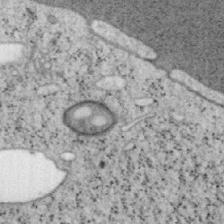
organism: Mouse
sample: OT-I killer T cells with ID8 ovarian cancer cells